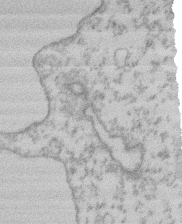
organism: Mouse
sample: T cell stromal cell synapse